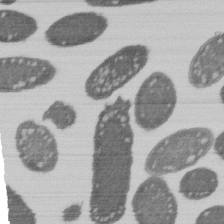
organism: E. coli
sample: Bacterial nucleoid